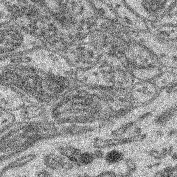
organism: Mouse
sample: Retina